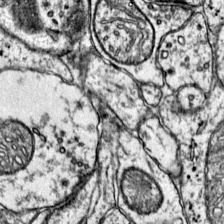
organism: Mouse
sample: Primary visual cortex